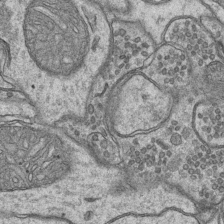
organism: Mouse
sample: CA1 Hippocampus